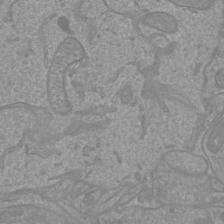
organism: Mouse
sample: Cortical neurons